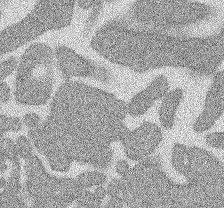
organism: Human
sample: HeLa cells